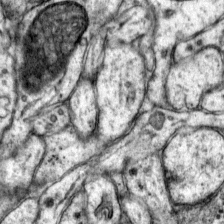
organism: Mouse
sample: Primary visual cortex